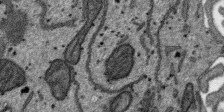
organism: Human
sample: Lung epithelial cells, uninfected (mock) control